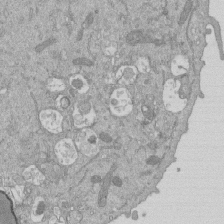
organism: Mouse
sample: ED-1 cell nuclei; centrioles